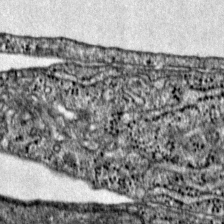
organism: Mouse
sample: Primary visual cortex